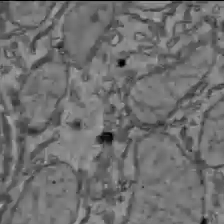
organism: C57BL Mouse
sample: Liver